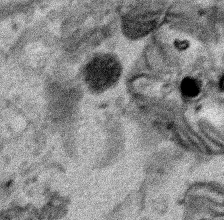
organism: Human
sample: Mitochondria in HCT116 cells